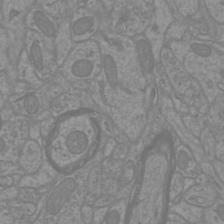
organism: Mouse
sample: Cortical neurons